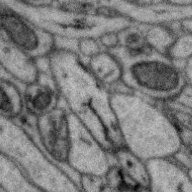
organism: Zebra finch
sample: Brain